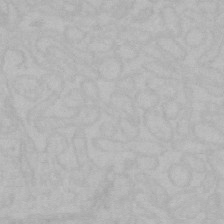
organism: Mouse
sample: Choroid plexus